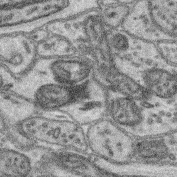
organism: Mouse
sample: Retina